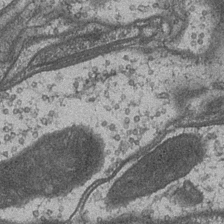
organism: Drosophila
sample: Optic medulla